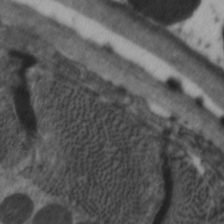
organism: C. elegans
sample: Pharynx